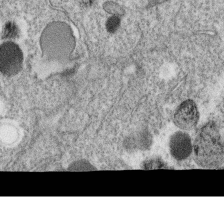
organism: C. elegans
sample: C. elegans oocyte; sperm cells